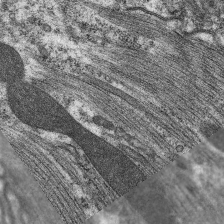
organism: C. elegans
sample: Pharynx